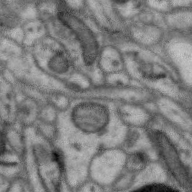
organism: Zebra finch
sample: Brain